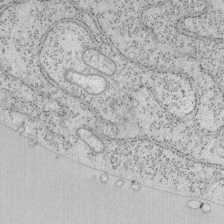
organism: Mouse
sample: OT-I killer T cells with ID8 ovarian cancer cells